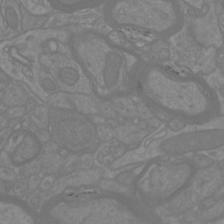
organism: Mouse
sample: Cortical neurons